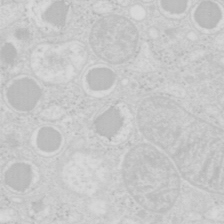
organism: Mouse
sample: Pancreas